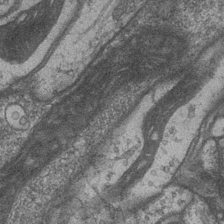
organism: Drosophila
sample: Optic medulla